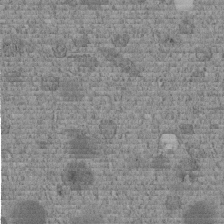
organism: C. elegans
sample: C. elegans embryo early stage